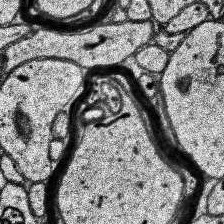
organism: Human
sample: Temporal Lobe